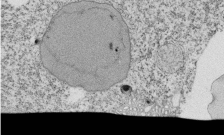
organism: Tetrahymena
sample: Cilia in tetrahymena